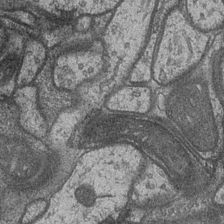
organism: Drosophila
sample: Optic medulla